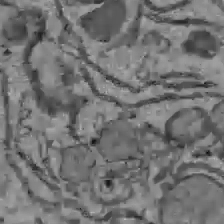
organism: C57BL Mouse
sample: Liver